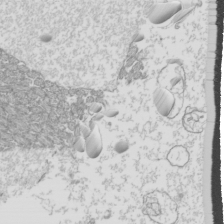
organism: Mouse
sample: Cilia; mouse epididymis